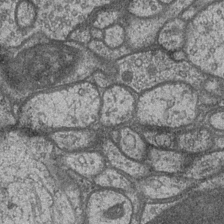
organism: Drosophila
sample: Optic medulla